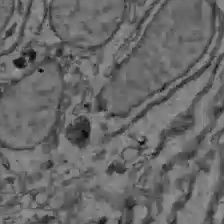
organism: C57BL Mouse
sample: Liver